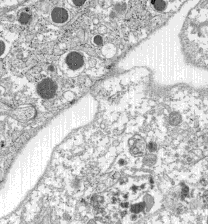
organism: C57BL Mouse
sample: Pancreatic islet